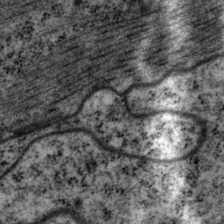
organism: P. pacificus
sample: Pharynx